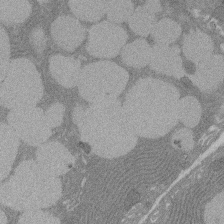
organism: Rat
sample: Salivary granule